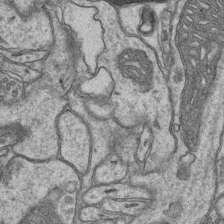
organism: Mouse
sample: CA1 Hippocampus